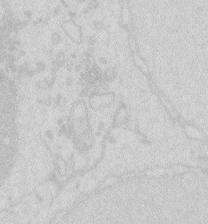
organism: Zebrafish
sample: Macrophage